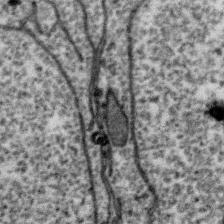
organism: Zebra finch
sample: Brain